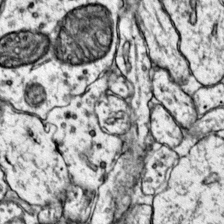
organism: Mouse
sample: Primary visual cortex